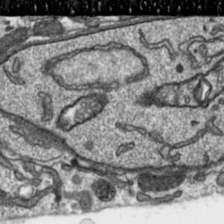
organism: Toxoplasma gondii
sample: Parasites in a vacuole inside a host cell